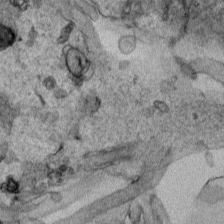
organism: Human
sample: Mitochondria in HCT116 cells